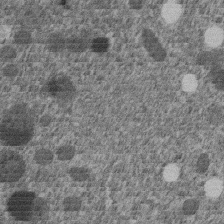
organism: C. elegans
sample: C. elegans embryo early stage